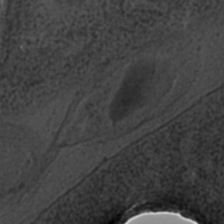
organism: C. elegans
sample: C. elegans embryo